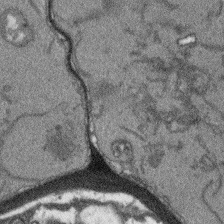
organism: Arabidopsis thaliana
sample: Root tip